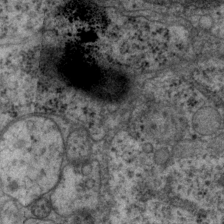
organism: P. pacificus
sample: Pharynx